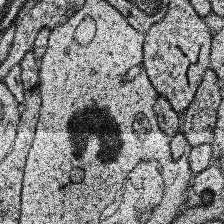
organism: Human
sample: Temporal Lobe